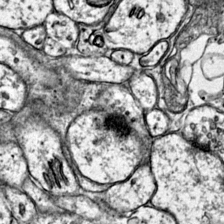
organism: Mouse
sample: Primary visual cortex